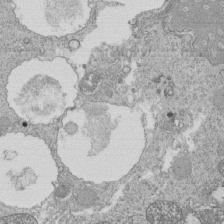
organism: Tetrahymena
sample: Cilia in tetrahymena